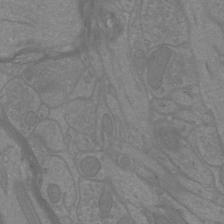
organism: Mouse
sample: Cortical neurons